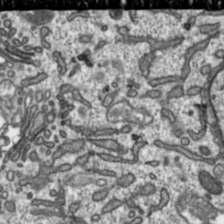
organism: Toxoplasma gondii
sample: Parasites in a vacuole inside a host cell